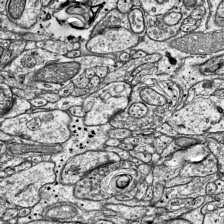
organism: Mouse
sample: Visual Cortex